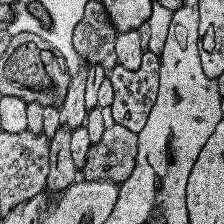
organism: Human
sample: Temporal Lobe